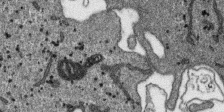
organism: Human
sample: Lung epithelial cells infected with SARS-CoV-2